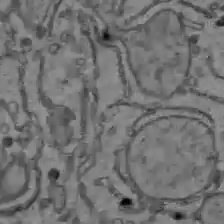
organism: C57BL Mouse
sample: Liver